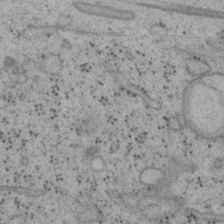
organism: Human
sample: HeLa cells